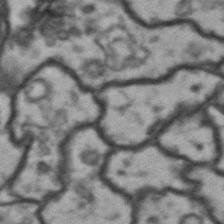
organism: Drosophila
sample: Brain